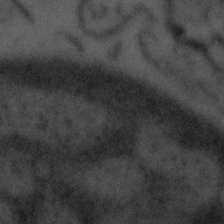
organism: Tuwongella immobilis